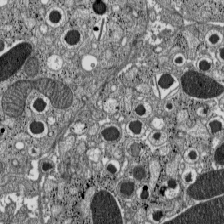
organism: C57BL Mouse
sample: Pancreatic islet